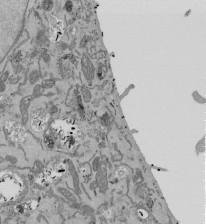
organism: Mouse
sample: ED-1 cell nuclei; centrioles